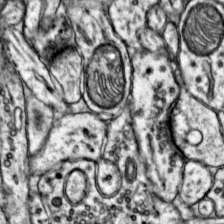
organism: Mouse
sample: Primary visual cortex